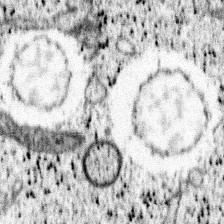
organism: Human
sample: HeLa cells